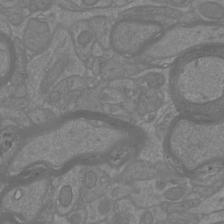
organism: Mouse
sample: Cortical neurons